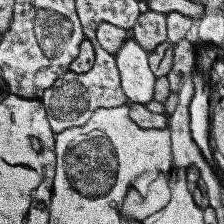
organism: Human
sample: Temporal Lobe